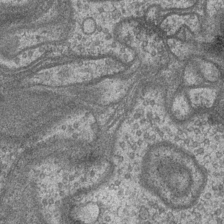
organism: Drosophila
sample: Optic medulla